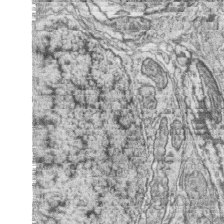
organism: Zebrafish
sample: synaptic ribbons in rod cells and cone cells